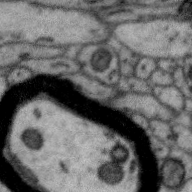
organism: Zebra finch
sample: Brain